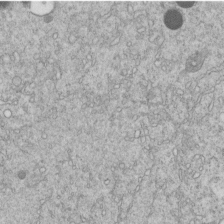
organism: C. elegans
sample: C. elegans embryo early stage